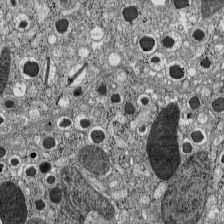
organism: C57BL Mouse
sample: Pancreatic islet